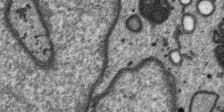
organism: Human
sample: Lung epithelial cells infected with SARS-CoV-2